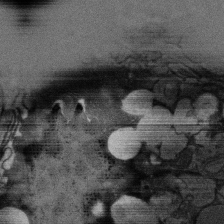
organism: Rat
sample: Salivary granule